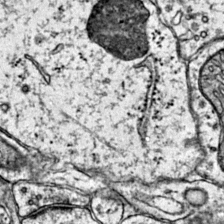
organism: Mouse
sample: Primary visual cortex